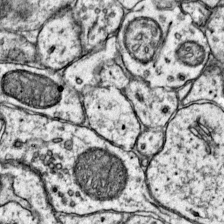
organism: Mouse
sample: Primary visual cortex